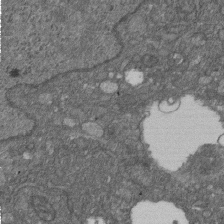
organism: Drosophila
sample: Nephrocyte